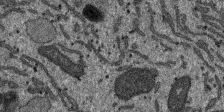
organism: Human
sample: Lung epithelial cells infected with SARS-CoV-2